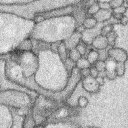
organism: Rabbit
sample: Retina